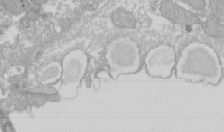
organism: Xenopus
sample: Cilia; centrioles in frog embryo cells